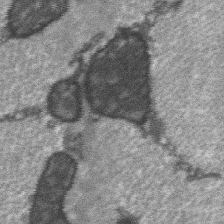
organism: C57BL Mouse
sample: Soleus